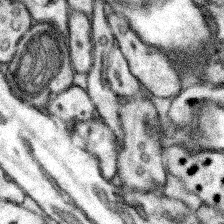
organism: Mouse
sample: Somatosensory cortex neuropil